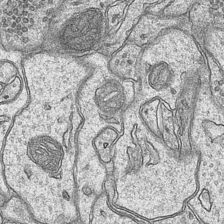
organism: Mouse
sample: CA1 Hippocampus